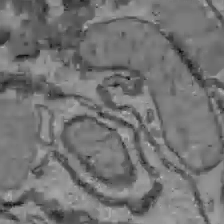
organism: C57BL Mouse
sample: Liver